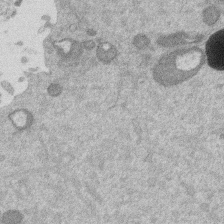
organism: Mouse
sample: Dividing mouse embryo 1 cell stage